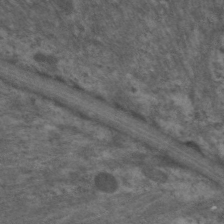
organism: C. elegans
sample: Pharynx